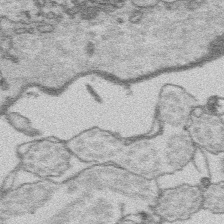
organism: Platynereis dumerilii